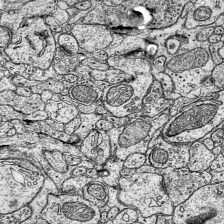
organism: Mouse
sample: Visual Cortex